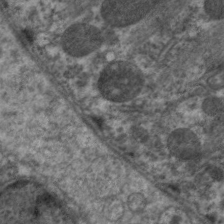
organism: C. elegans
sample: Pharynx